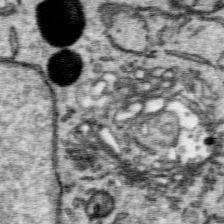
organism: Human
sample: HeLa cells